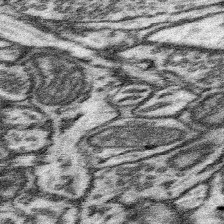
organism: Mouse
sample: Somatosensory cortex neuropil